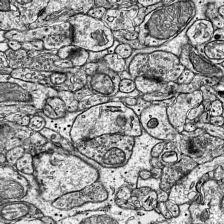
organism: Mouse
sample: Visual Cortex